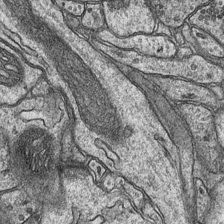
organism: Mouse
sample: CA1 Hippocampus